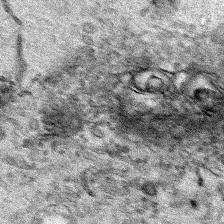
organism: Human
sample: Mitochondria in HCT116 cells